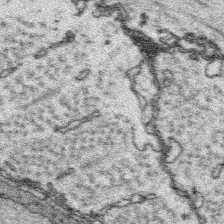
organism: Platynereis dumerilii